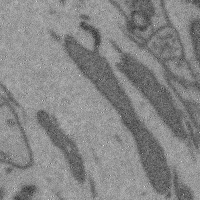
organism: Mouse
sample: Cerebral cortex